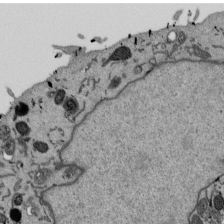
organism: Mouse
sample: ED-1 cell nuclei; centrioles